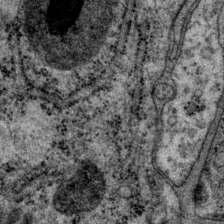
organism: P. pacificus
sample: Pharynx